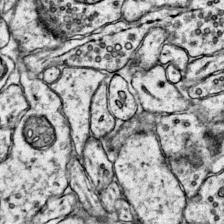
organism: Mouse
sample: Primary visual cortex